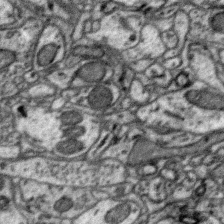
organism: Zebra finch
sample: Brain